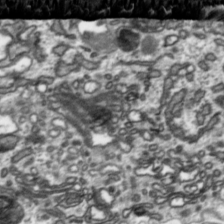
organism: Toxoplasma gondii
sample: Parasites in a vacuole inside a host cell